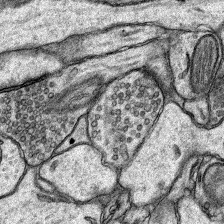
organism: Rat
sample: Hippocampus